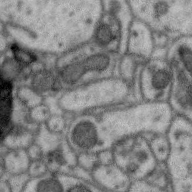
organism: Zebra finch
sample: Brain